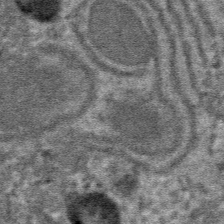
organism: Mouse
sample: Mouse hepatocytes